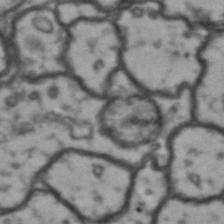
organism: Drosophila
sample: Brain